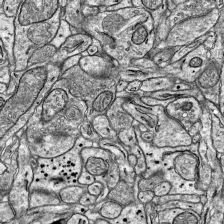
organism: Mouse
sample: Visual Cortex